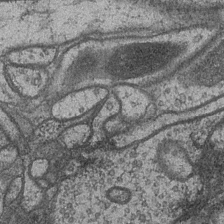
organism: Drosophila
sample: Optic medulla